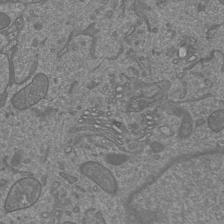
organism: Mouse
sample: Cortical neurons